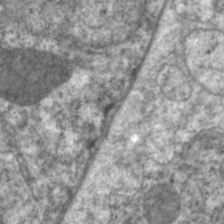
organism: C. elegans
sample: Pharynx